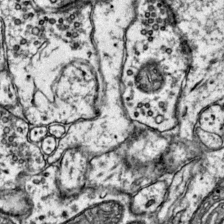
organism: Mouse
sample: Primary visual cortex